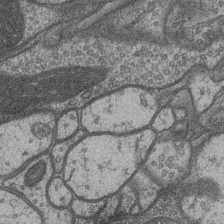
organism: Drosophila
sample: Optic medulla